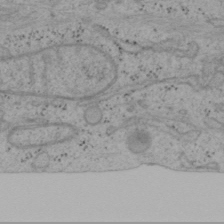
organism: Human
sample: HeLa cells